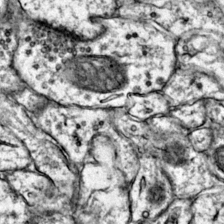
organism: Mouse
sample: Primary visual cortex